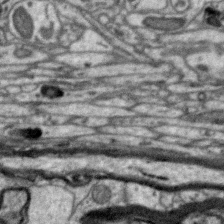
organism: Zebra finch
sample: Brain